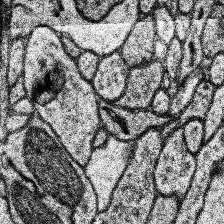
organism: Human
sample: Temporal Lobe